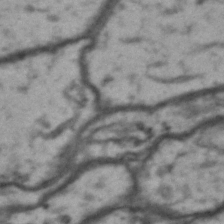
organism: Drosophila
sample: Brain